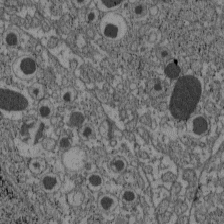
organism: C57BL Mouse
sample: Pancreatic islet